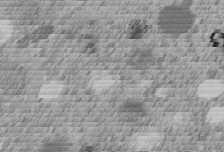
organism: C. elegans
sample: C. elegans embryo early stage